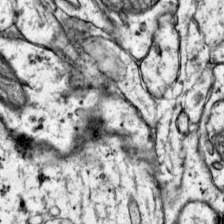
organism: Mouse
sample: Primary visual cortex